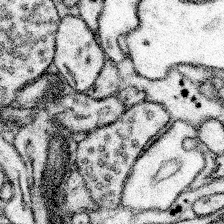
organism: Mouse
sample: Somatosensory cortex neuropil